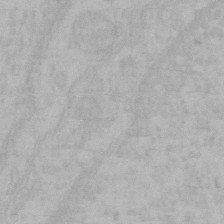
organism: Mouse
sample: Choroid plexus